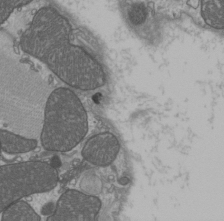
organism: C57BL Mouse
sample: Heart